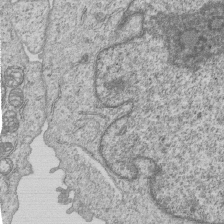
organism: Human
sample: MDA-MB-231 cells